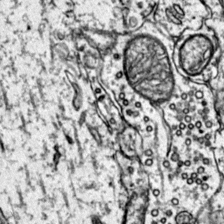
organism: Mouse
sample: Primary visual cortex